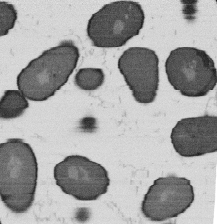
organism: B. subtilis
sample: Bacterial spore